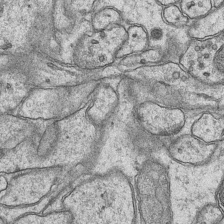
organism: Mouse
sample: CA1 Hippocampus